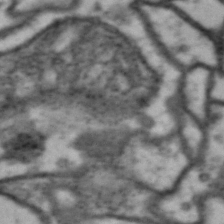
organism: Drosophila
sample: Brain